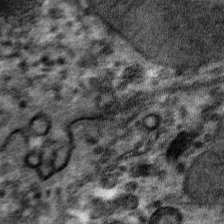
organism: Mouse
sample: Mouse hepatocytes